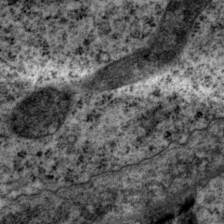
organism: P. pacificus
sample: Pharynx